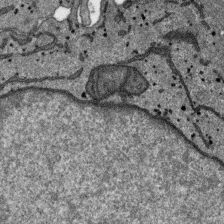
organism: Human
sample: Lung epithelial cells, uninfected (mock) control